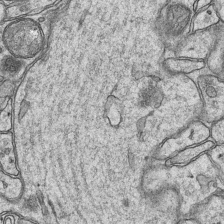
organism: Mouse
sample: CA1 Hippocampus